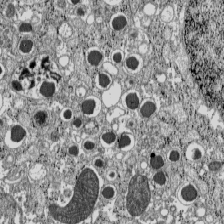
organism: C57BL Mouse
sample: Pancreatic islet